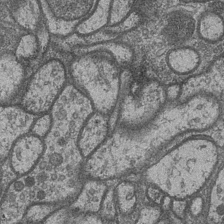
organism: Drosophila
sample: Optic medulla